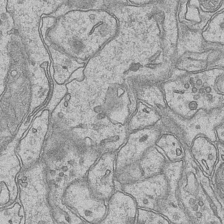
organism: Mouse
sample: CA1 Hippocampus